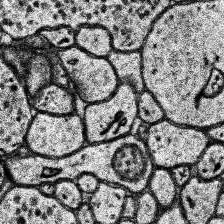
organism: Human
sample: Temporal Lobe